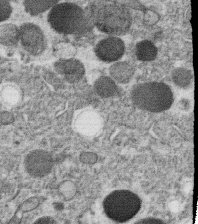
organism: C. elegans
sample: C. elegans oocyte; sperm cells